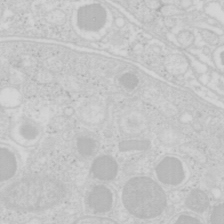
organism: Mouse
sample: Pancreas